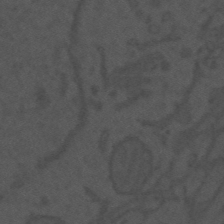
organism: Mouse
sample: Suprachiasmatic nucleus